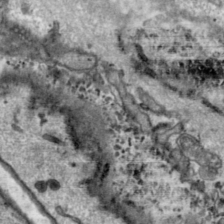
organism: Toxoplasma gondii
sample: Parasites in a vacuole inside a host cell